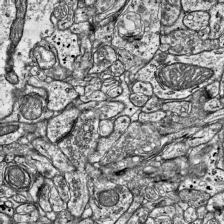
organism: Mouse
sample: Visual Cortex